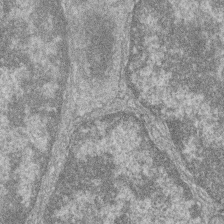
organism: Zebrafish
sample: Cilia; retinal pigment epithelium